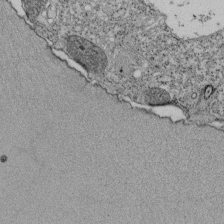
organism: Tetrahymena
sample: Cilia in tetrahymena